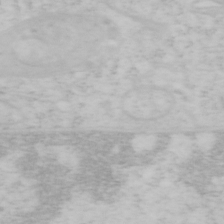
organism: Mouse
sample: OT-I killer T cells with ID8 ovarian cancer cells